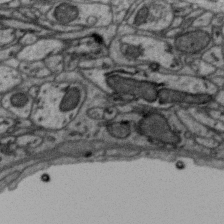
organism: Zebra finch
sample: Brain